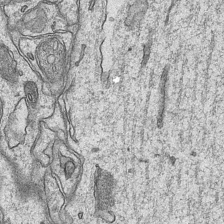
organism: Mouse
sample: CA1 Hippocampus